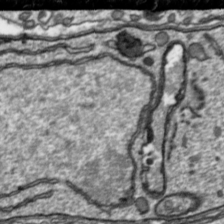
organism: Toxoplasma gondii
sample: Parasites in a vacuole inside a host cell